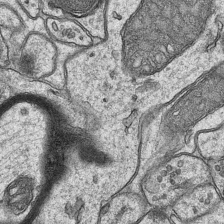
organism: Mouse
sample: CA1 Hippocampus